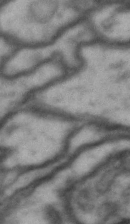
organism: Drosophila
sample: Brain